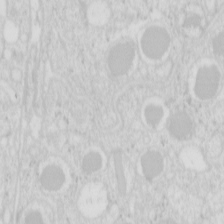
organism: Mouse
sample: Pancreas